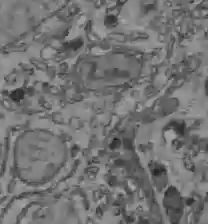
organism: C57BL Mouse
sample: Liver